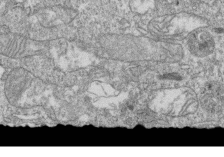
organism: Human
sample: HeLa cell HIV synapse